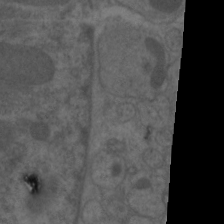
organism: C. elegans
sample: Pharynx